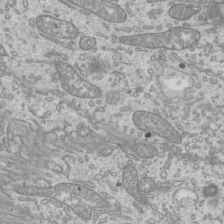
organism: Mouse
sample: Cilia; mouse epididymis